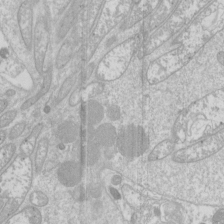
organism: Drosophila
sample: Cell division; meiosis; drosophila spermatocytes